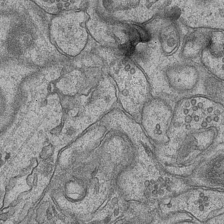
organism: Mouse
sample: CA1 Hippocampus